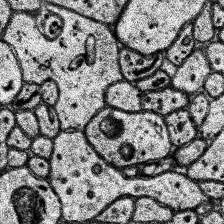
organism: Human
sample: Temporal Lobe